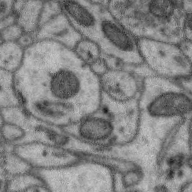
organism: Zebra finch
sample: Brain